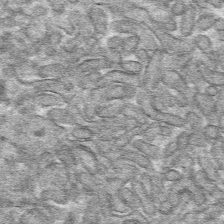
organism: Mouse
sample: Mouse hepatocytes